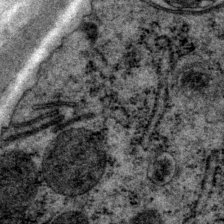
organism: P. pacificus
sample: Pharynx